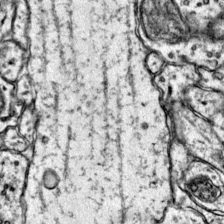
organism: Mouse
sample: Primary visual cortex